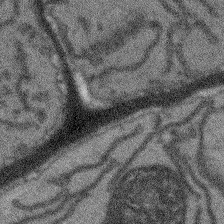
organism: Arabidopsis thaliana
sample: Root tip